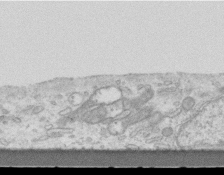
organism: Mouse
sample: Centriole in ependymal cells